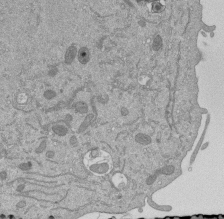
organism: Mouse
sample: ED-1 cell nuclei; centrioles